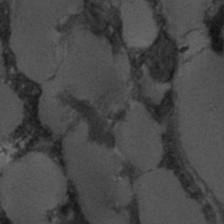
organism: C. elegans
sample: C. elegans embryo